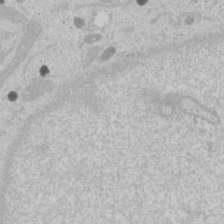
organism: Human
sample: Mitochondria in U2OS cells